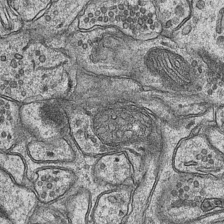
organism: Mouse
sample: CA1 Hippocampus